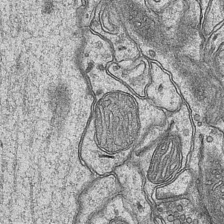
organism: Mouse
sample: CA1 Hippocampus